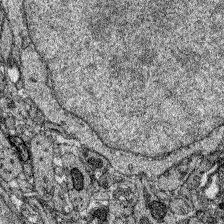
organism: Zebrafish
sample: Larval olfactory bulb